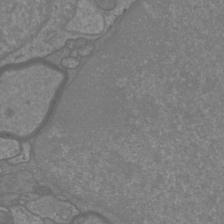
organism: Mouse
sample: Cortical neurons